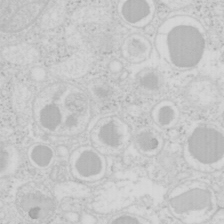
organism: Mouse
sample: Pancreas